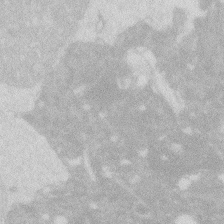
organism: Zebrafish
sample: Macrophage